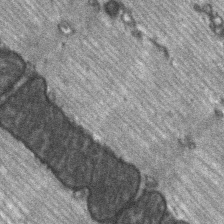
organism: C57BL Mouse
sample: Soleus